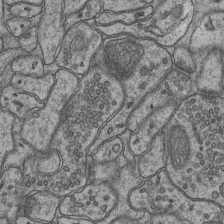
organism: Mouse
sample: CA1 Hippocampus